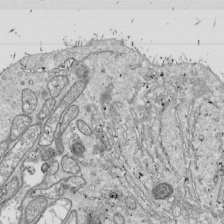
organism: Drosophila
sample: Cell division; meiosis; drosophila spermatocytes